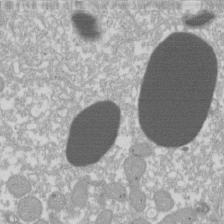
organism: Xenopus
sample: Cilia; centrioles in frog embryo cells